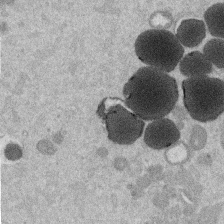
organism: Mouse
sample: Dividing mouse embryo 1 cell stage